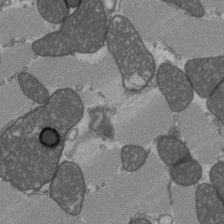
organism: C57BL Mouse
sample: Heart